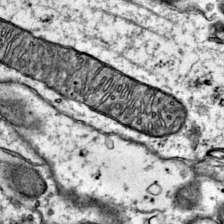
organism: Mouse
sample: Primary visual cortex